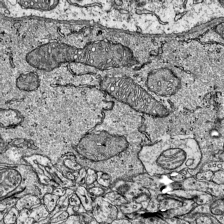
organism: Mouse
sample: Visual Cortex